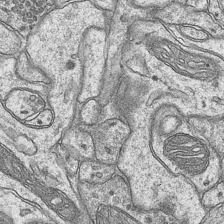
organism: Mouse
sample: CA1 Hippocampus